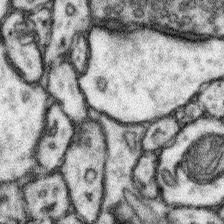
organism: Mouse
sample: Somatosensory cortex neuropil